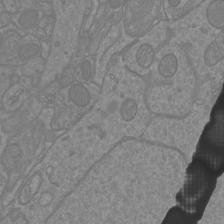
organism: Mouse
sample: Cortical neurons